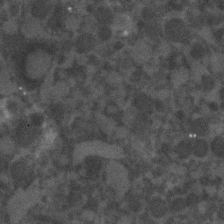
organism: C. elegans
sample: C. elegans embryo